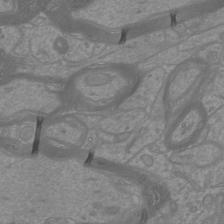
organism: Mouse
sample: Cortical neurons